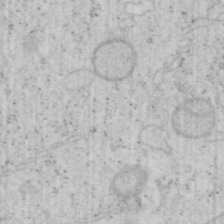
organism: Human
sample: HeLa cells